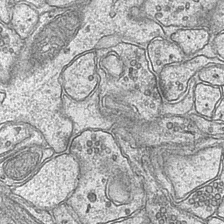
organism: Mouse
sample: CA1 Hippocampus